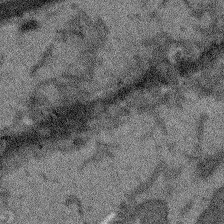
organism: Arabidopsis thaliana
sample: Root tip